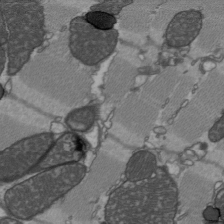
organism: C57BL Mouse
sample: Heart